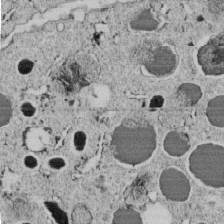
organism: C. elegans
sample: C. elegans embryo early stage